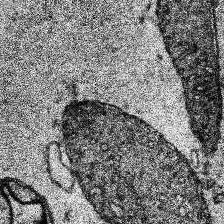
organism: Human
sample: Temporal Lobe